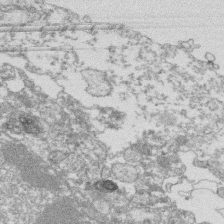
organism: Human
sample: HeLa cell HIV synapse